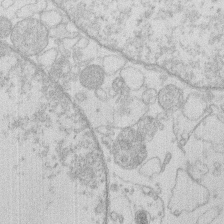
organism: Human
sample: Macrophage cells